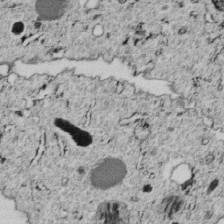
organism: C. elegans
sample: C. elegans embryo early stage